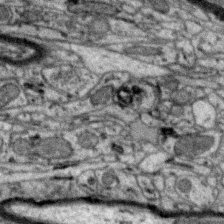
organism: Zebra finch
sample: Brain